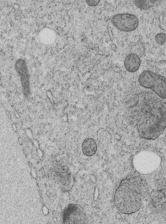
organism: C. elegans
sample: C. elegans embryo early stage